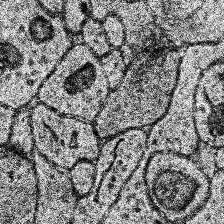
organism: Human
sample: Temporal Lobe